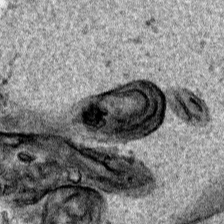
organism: Human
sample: Mitochondria in HCT116 cells